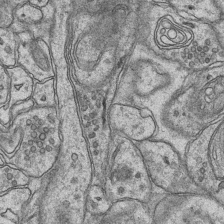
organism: Mouse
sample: CA1 Hippocampus